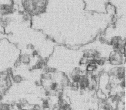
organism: Human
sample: HeLa cell HIV synapse